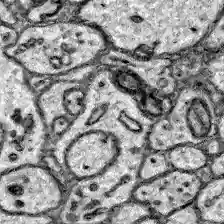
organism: Zebrafish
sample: Brain